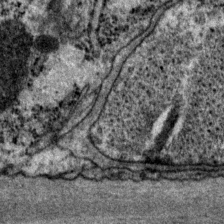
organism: P. pacificus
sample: Pharynx